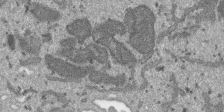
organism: Human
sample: Lung epithelial cells infected with SARS-CoV-2